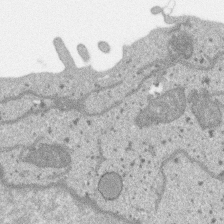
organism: Human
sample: Lung epithelial cells infected with SARS-CoV-2